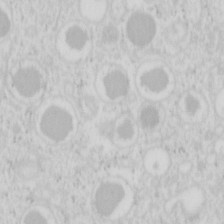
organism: Mouse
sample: Pancreas